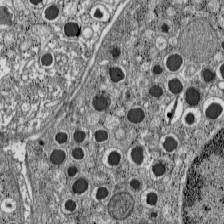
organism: C57BL Mouse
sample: Pancreatic islet